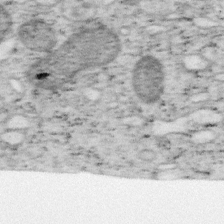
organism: Mouse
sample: OT-I killer T cells with ID8 ovarian cancer cells